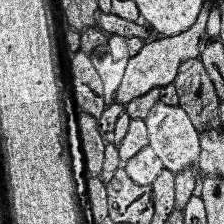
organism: Human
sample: Temporal Lobe